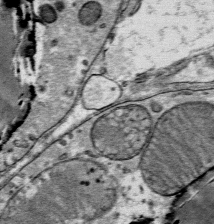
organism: Mouse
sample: Mouse Salivary gland